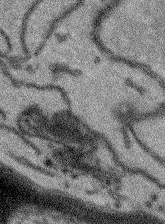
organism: Arabidopsis thaliana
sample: Root tip